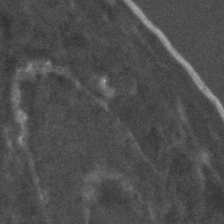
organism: C. elegans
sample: C. elegans embryo